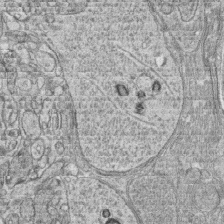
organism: Zebrafish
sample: synaptic ribbons in rod cells and cone cells